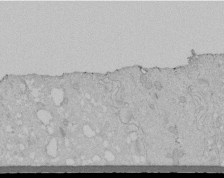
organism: Human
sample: Melanocyte Keratinocyte synapse skin construct